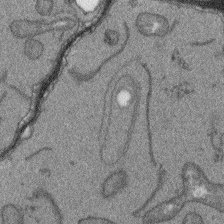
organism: Arabidopsis thaliana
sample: Root tip